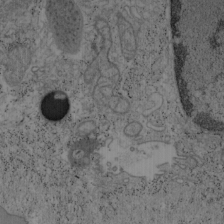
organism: Mouse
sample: OT-I killer T cells with ID8 ovarian cancer cells